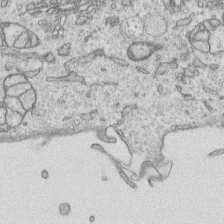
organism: Human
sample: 1205lu cells